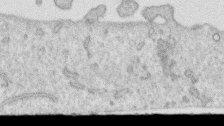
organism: Human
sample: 1205lu cells